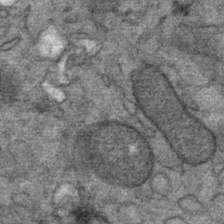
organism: Mouse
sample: Mouse Salivary gland